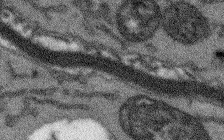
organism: Arabidopsis thaliana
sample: Root tip